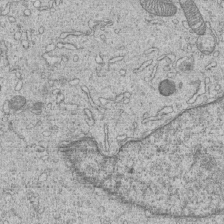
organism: Human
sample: MDA-MB-231 cells